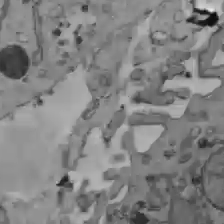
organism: C57BL Mouse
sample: Liver